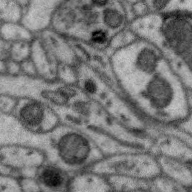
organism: Zebra finch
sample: Brain